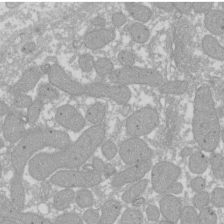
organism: Xenopus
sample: Cilia; centrioles in frog embryo cells